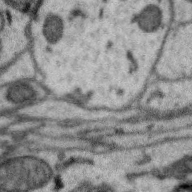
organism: Zebra finch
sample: Brain